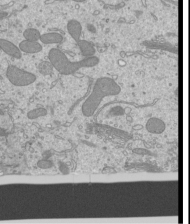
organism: Mouse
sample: Cilia; mouse epididymis